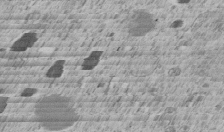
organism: C. elegans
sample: C. elegans embryo early stage